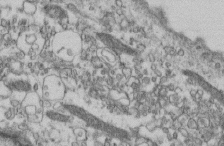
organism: Mouse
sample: Cilia; retinal pigment epithelium